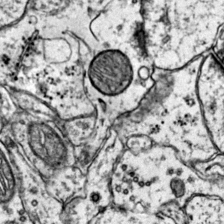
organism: Mouse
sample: Primary visual cortex